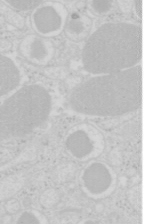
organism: Mouse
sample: Pancreas